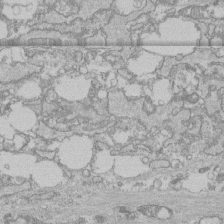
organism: Human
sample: CRL-1474